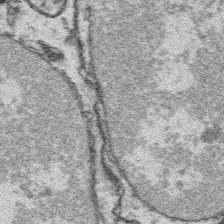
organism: Platynereis dumerilii